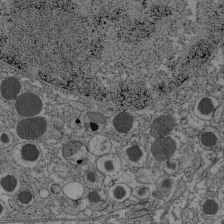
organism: C57BL Mouse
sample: Pancreatic islet